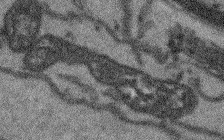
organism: Arabidopsis thaliana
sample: Root tip